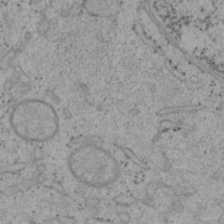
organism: Human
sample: HeLa cells